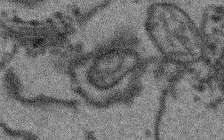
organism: Arabidopsis thaliana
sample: Root tip